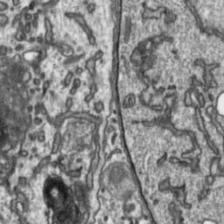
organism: Toxoplasma gondii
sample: Parasites in a vacuole inside a host cell